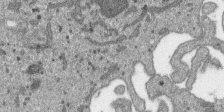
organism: Human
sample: Lung epithelial cells infected with SARS-CoV-2